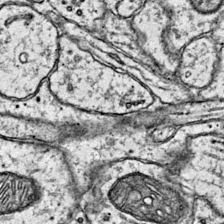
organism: Mouse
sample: Primary visual cortex